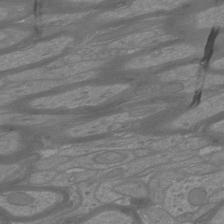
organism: Mouse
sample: Cortical neurons